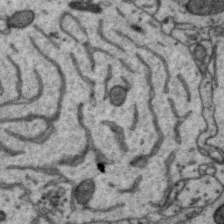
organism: Zebra finch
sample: Brain